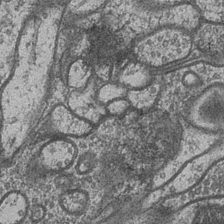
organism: Drosophila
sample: Optic medulla